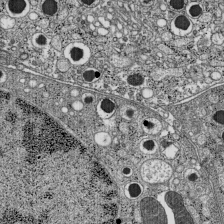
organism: C57BL Mouse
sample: Pancreatic islet